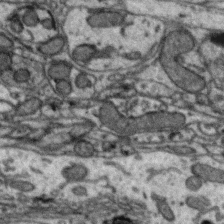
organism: Zebra finch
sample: Brain